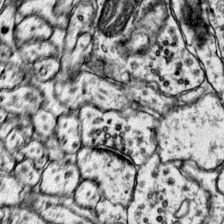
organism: Mouse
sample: Primary visual cortex